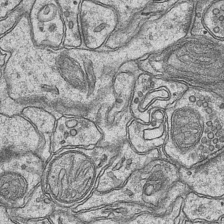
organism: Mouse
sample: CA1 Hippocampus